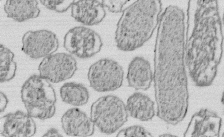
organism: E. coli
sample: Bacterial nucleoid